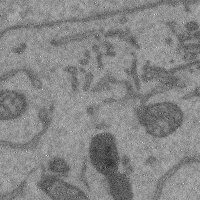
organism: Mouse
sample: Cerebral cortex